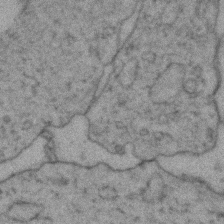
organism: Zebrafish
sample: Zebrafish embryo